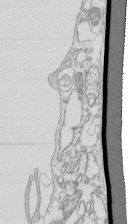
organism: Mouse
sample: Macrophages